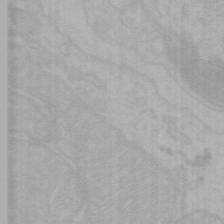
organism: Mouse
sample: Choroid plexus